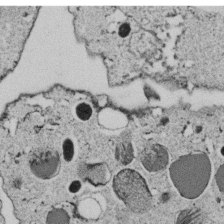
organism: C. elegans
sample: C. elegans embryo early stage